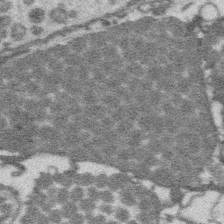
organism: Platynereis dumerilii